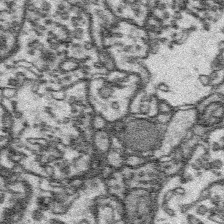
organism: Platynereis dumerilii